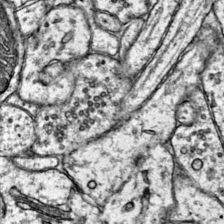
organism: Mouse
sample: Primary visual cortex